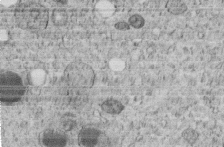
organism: C. elegans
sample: C. elegans embryo early stage